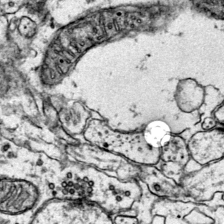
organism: Mouse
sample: Primary visual cortex